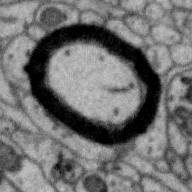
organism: Zebra finch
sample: Brain